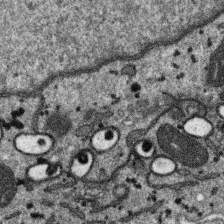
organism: Human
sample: Lung epithelial cells infected with SARS-CoV-2